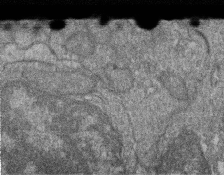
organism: Zebrafish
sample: Cilia; retinal pigment epithelium